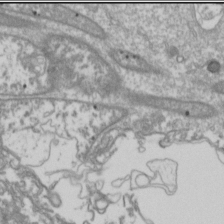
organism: Drosophila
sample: Cell division; meiosis; drosophila spermatocytes